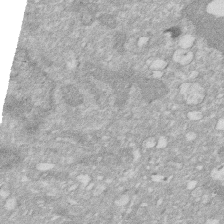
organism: Human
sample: HIV infected U937 cells